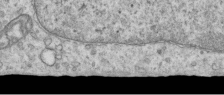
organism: Human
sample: Centriole in RPE cells